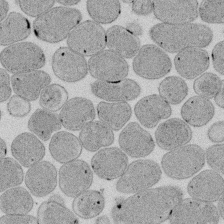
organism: E. coli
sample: Bacterial nucleoid